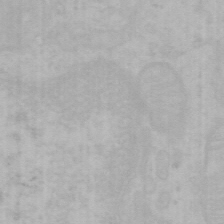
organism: Mouse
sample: Choroid plexus